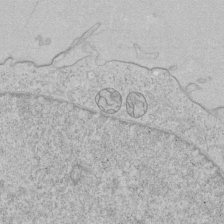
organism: Human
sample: Mitochondria in HCT116 cells